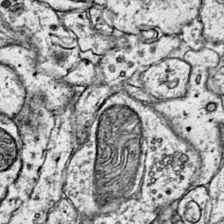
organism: Mouse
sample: Primary visual cortex